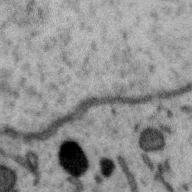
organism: Zebra finch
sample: Brain